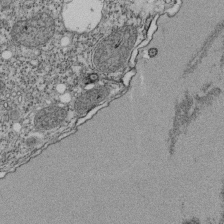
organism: Tetrahymena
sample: Cilia in tetrahymena